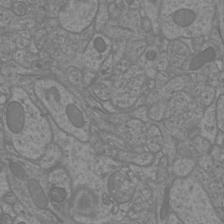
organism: Mouse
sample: Cortical neurons